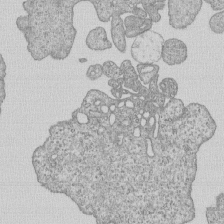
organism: Human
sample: MDA-MB-231 cells